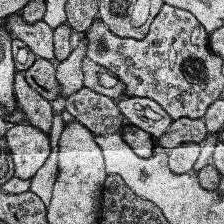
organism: Human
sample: Temporal Lobe